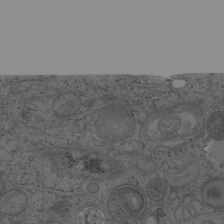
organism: Human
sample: HeLa cells